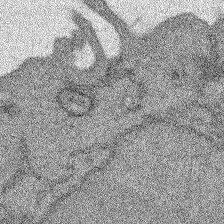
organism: Human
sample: HeLa cells